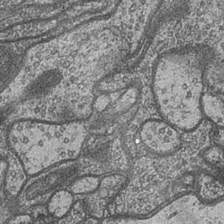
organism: Drosophila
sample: Optic medulla